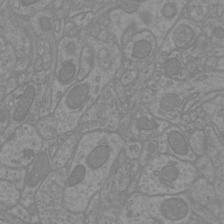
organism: Mouse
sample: Cortical neurons